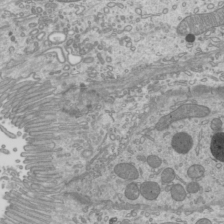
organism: Mouse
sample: Cilia; mouse epididymis